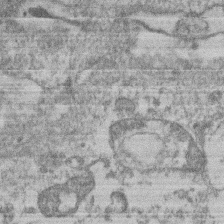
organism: Mouse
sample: T cell stromal cell synapse